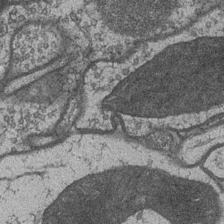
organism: Drosophila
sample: Optic medulla